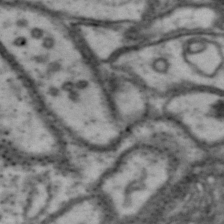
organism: Drosophila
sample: Brain